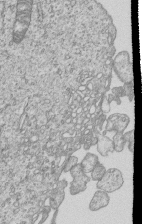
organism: Human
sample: MDA-MB-231 cells